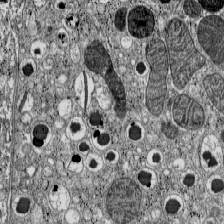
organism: C57BL Mouse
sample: Pancreatic islet